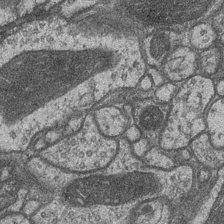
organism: Drosophila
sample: Optic medulla